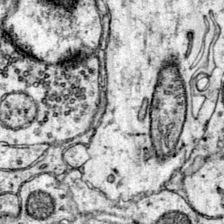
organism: Mouse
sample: Primary visual cortex